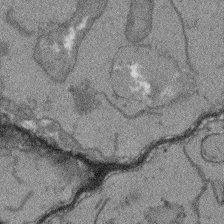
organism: Arabidopsis thaliana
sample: Root tip